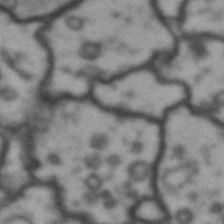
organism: Drosophila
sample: Brain